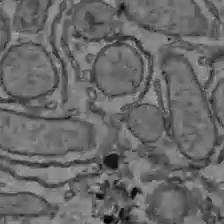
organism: C57BL Mouse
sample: Liver